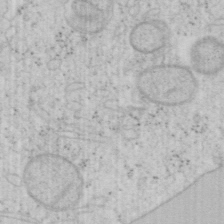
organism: Human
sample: HeLa cells